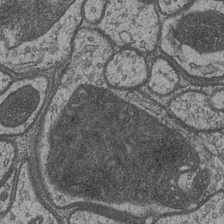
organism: Drosophila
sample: Optic medulla